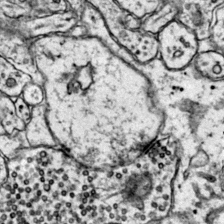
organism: Mouse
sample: Primary visual cortex